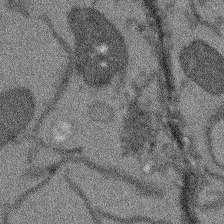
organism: Arabidopsis thaliana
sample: Root tip